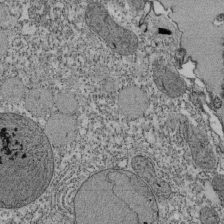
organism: Tetrahymena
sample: Cilia in tetrahymena